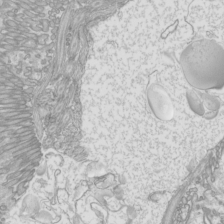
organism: Mouse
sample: Cilia; mouse epididymis